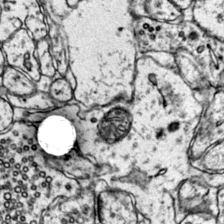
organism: Mouse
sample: Primary visual cortex